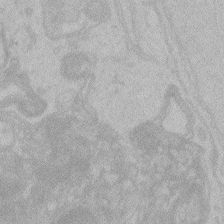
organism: Zebrafish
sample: Macrophage infected with Toxoplasma gondii